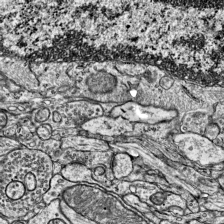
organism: Mouse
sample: Visual Cortex